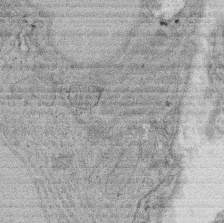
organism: Rat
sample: Salivary granule